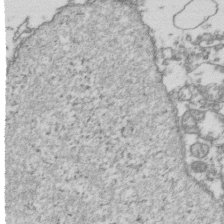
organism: Human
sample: Activated Jurkat CD4+ T cells